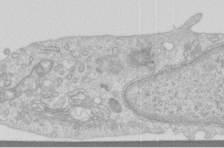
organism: Human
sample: Centriole in RPE cells